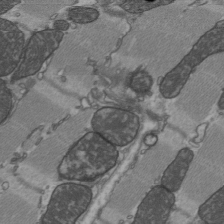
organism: C57BL Mouse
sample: Heart